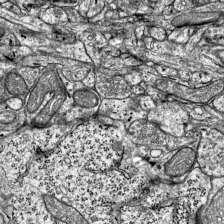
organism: Mouse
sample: Visual Cortex